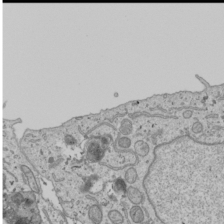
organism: Human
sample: Mitochondria in U2OS cells